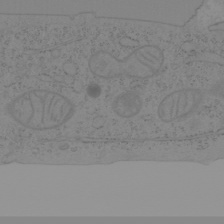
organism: Human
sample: HeLa cells